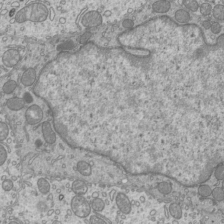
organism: Mouse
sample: Cilia; mouse epididymis